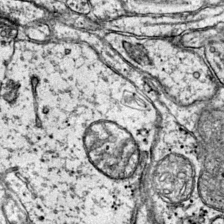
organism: Mouse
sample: Primary visual cortex